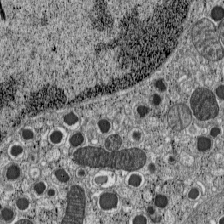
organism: C57BL Mouse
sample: Pancreatic islet